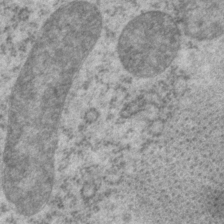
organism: P. pacificus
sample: Pharynx